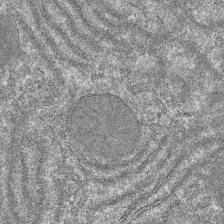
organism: Mouse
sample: Mouse hepatocytes